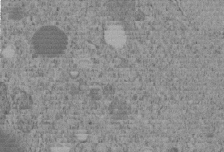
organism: C. elegans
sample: C. elegans embryo early stage